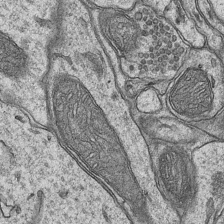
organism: Mouse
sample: CA1 Hippocampus